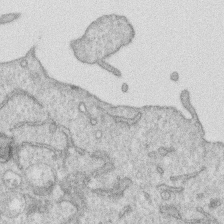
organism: Human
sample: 1205lu cells